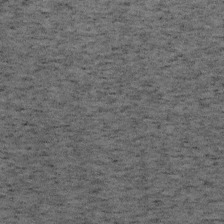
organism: Mouse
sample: OT-I killer T cells with ID8 ovarian cancer cells